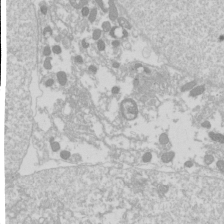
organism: Drosophila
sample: Cell division; meiosis; drosophila spermatocytes